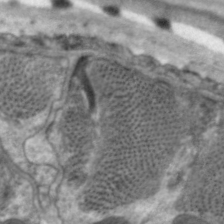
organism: C. elegans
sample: Pharynx